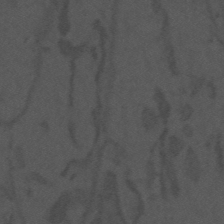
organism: Mouse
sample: Suprachiasmatic nucleus